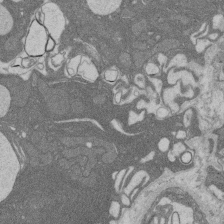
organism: Rat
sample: Salivary granule